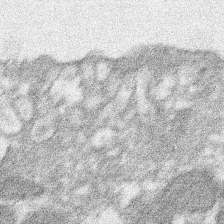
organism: Xenopus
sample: Cilia; centrioles in frog embryo cells